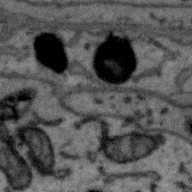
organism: Zebra finch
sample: Brain